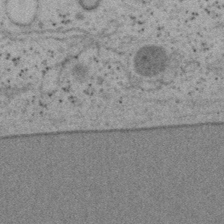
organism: Human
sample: HeLa cells